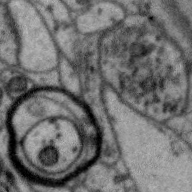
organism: Zebra finch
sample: Brain